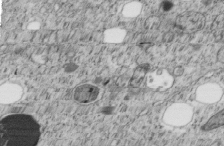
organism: C. elegans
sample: C. elegans embryo early stage